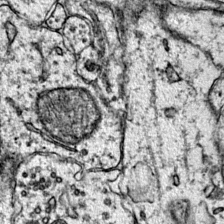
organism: Mouse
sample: Primary visual cortex